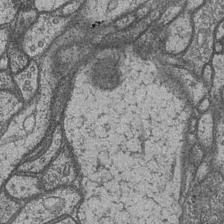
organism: Drosophila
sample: Optic medulla